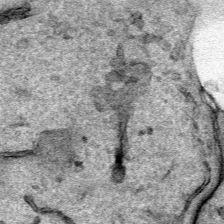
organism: Human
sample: Mitochondria in HCT116 cells